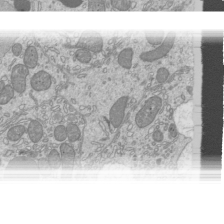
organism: Mouse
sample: Cilia; mouse epididymis